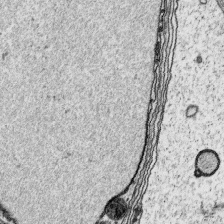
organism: Platynereis dumerilii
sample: Parapodia